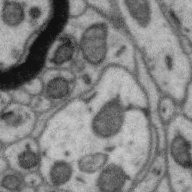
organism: Zebra finch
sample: Brain